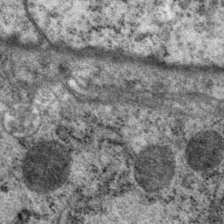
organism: P. pacificus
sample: Pharynx